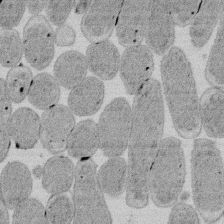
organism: E. coli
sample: Bacterial nucleoid